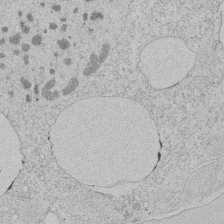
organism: Tetrahymena